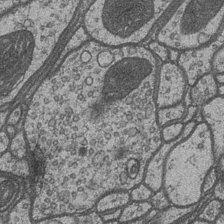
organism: Drosophila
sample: Optic medulla